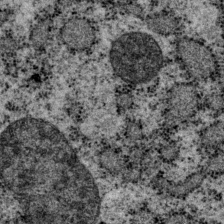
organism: P. pacificus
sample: Pharynx